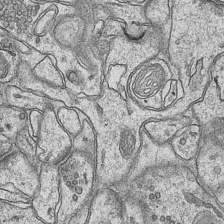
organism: Mouse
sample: CA1 Hippocampus